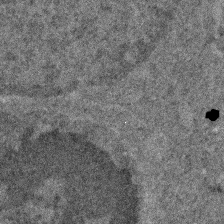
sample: Trachea